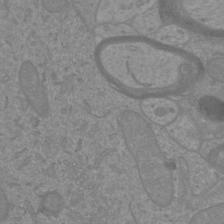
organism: Mouse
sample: Cortical neurons